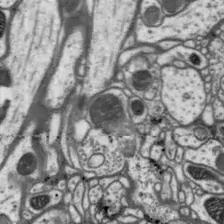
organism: Drosophila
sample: Protocerebral bridge